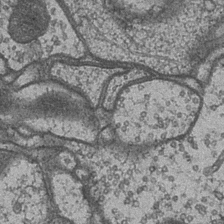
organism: Drosophila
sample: Optic medulla